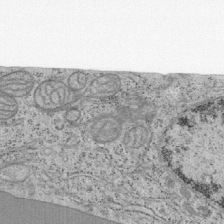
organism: Human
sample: HeLa cells